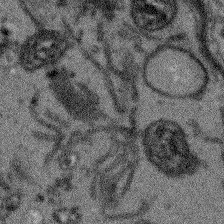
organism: Arabidopsis thaliana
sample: Root tip